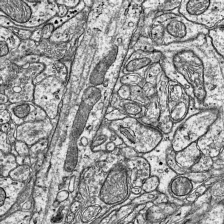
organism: Mouse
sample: Visual Cortex